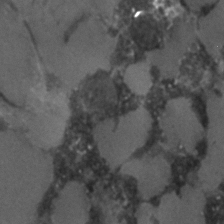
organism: C. elegans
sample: C. elegans embryo